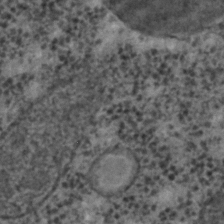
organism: C. elegans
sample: C. elegans embryo